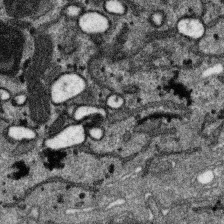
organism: Human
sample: Lung epithelial cells infected with SARS-CoV-2